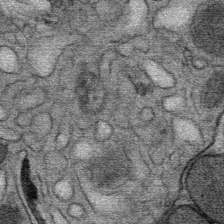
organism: Mouse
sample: Mouse Salivary gland